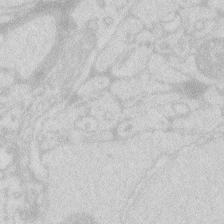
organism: Zebrafish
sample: Macrophage